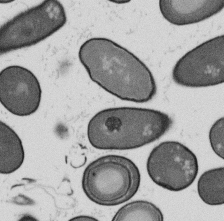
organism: B. subtilis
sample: Bacterial spore